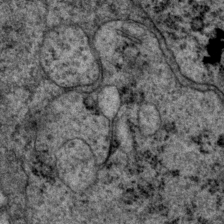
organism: P. pacificus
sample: Pharynx